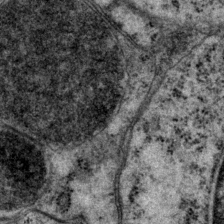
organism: P. pacificus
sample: Pharynx